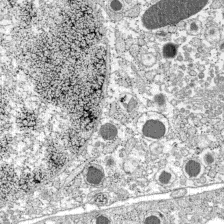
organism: C57BL Mouse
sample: Pancreatic islet